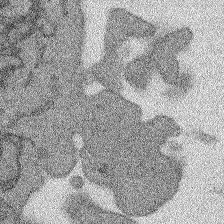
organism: Human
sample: HeLa cells